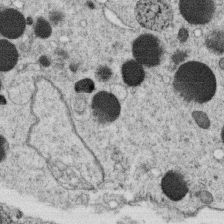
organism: C. elegans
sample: C. elegans oocyte; sperm cells